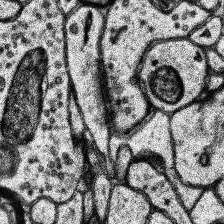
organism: Human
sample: Temporal Lobe